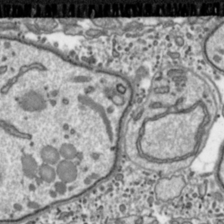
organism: Toxoplasma gondii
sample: Parasites in a vacuole inside a host cell